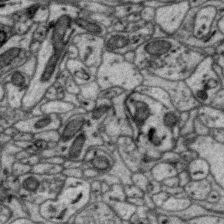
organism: Zebra finch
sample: Brain